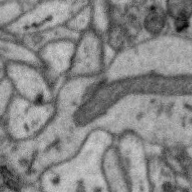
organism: Zebra finch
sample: Brain